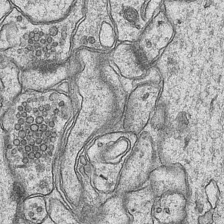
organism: Mouse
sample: CA1 Hippocampus